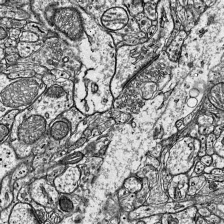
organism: Mouse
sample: Visual Cortex